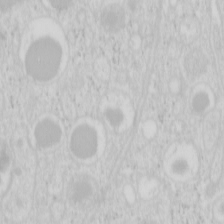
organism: Mouse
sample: Pancreas